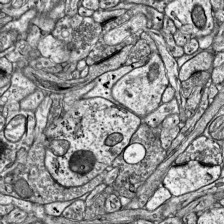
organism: Mouse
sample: Visual Cortex